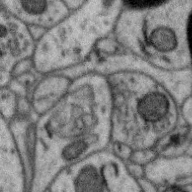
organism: Zebra finch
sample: Brain